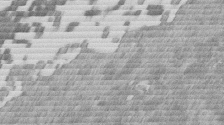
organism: Mouse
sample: Dividing mouse embryo 1 cell stage